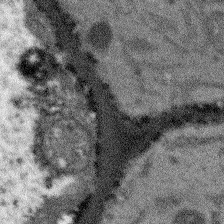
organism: Arabidopsis thaliana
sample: Root tip